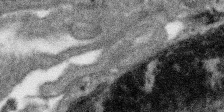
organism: Human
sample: Lung epithelial cells infected with SARS-CoV-2